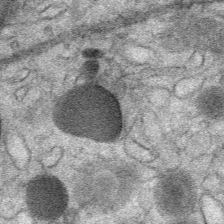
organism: Mouse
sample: Mouse Salivary gland